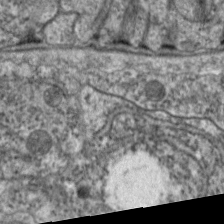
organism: C. elegans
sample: Pharynx